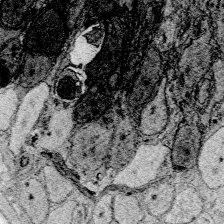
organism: Zebrafish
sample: Whole-Brain